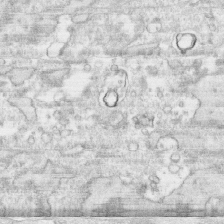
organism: Human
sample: CRL-1474